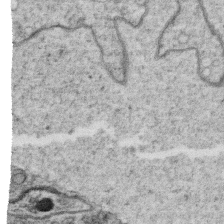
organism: C. elegans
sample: C. elegans oocyte; sperm cells